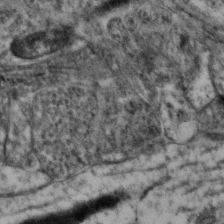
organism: Mouse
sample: Neocortex